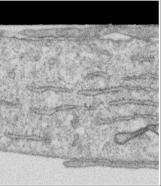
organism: Human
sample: Centriole in RPE cells